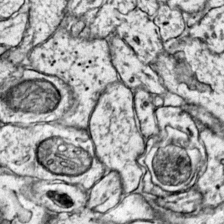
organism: Mouse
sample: Primary visual cortex